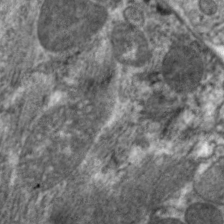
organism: C. elegans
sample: Pharynx